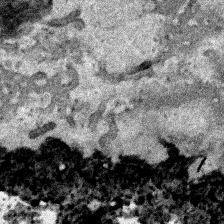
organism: Human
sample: Mitochondria in HCT116 cells